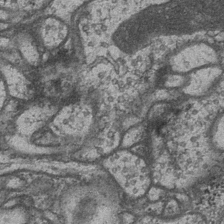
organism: Drosophila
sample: Optic medulla